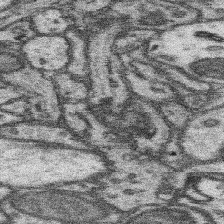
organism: Mouse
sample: Somatosensory cortex neuropil